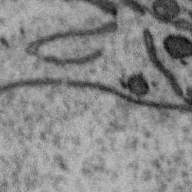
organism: Zebra finch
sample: Brain